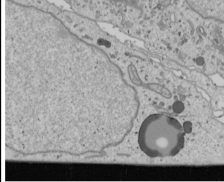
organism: Human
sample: Mitochondria in U2OS cells